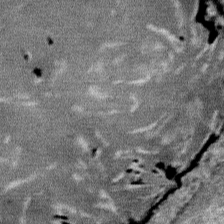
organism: Mouse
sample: Mouse Salivary gland